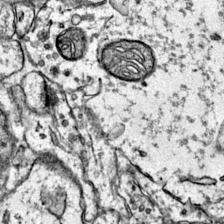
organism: Mouse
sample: Primary visual cortex